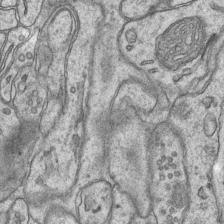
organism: Mouse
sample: CA1 Hippocampus